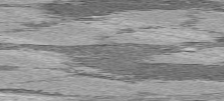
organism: C57BL Mouse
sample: Heart